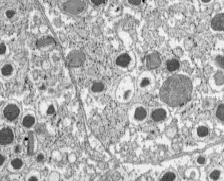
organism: C57BL Mouse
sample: Pancreatic islet